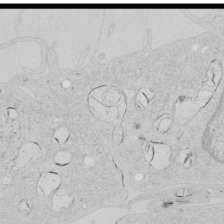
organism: Human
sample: Mitochondria in HCT116 cells